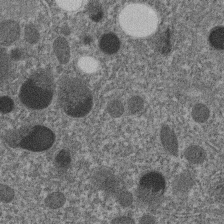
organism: C. elegans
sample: C. elegans embryo early stage